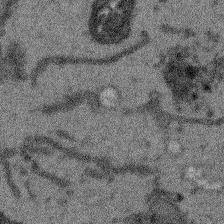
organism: Arabidopsis thaliana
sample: Root tip